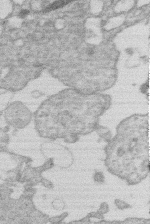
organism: Human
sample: Macrophage cells